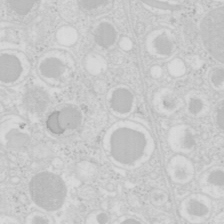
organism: Mouse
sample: Pancreas